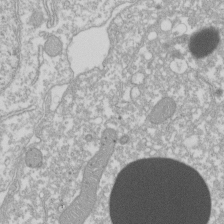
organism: Xenopus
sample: Cilia; centrioles in frog embryo cells